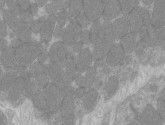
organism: C57BL Mouse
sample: Tibialis anterior muscle cell